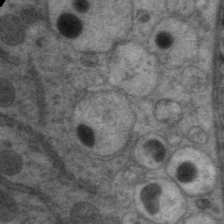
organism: C. elegans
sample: Pharynx